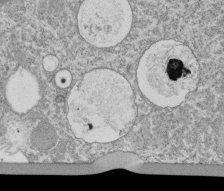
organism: Tetrahymena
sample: Cilia in tetrahymena